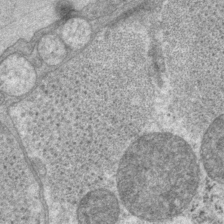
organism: P. pacificus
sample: Pharynx